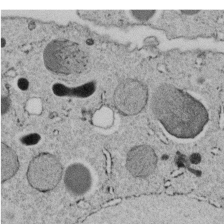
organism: C. elegans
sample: C. elegans embryo early stage